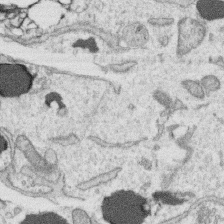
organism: Human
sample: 1205lu cells